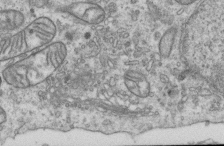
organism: Human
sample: Centriole in RPE cells